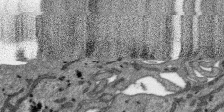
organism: Human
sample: Lung epithelial cells, uninfected (mock) control